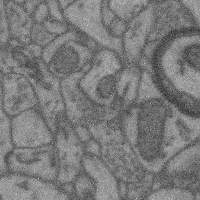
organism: Mouse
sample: Cerebral cortex